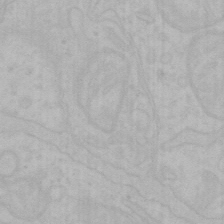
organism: Mouse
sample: Choroid plexus